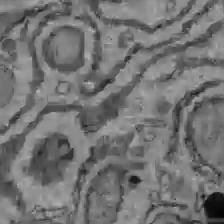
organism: C57BL Mouse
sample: Liver